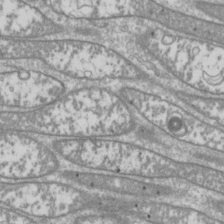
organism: Drosophila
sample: Cell division; meiosis; drosophila spermatocytes